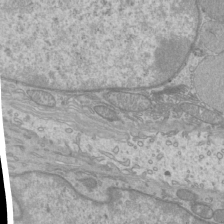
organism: Mouse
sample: Cilia; mouse epididymis